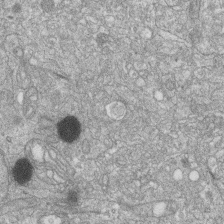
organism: Human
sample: HeLa cell HIV synapse